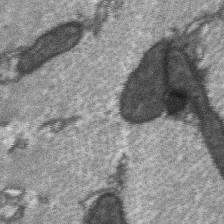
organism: C57BL Mouse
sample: Soleus